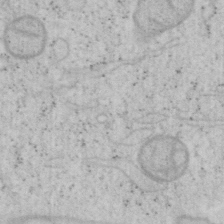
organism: Human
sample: HeLa cells